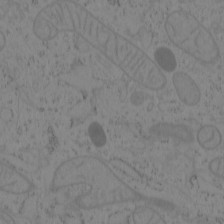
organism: Human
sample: HeLa cells